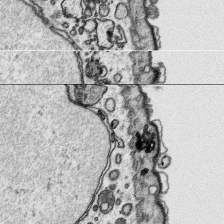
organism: Platynereis dumerilii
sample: Parapodia